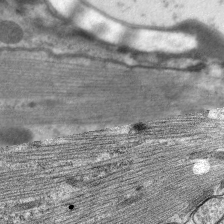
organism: C. elegans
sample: Pharynx